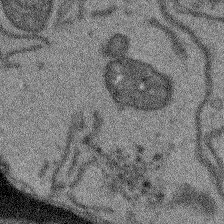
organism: Arabidopsis thaliana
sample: Root tip